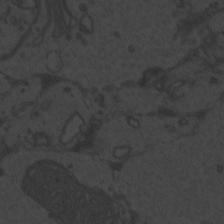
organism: Zebrafish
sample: Macrophage infected with Toxoplasma gondii